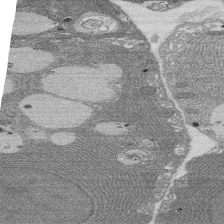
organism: Rat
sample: Salivary granule